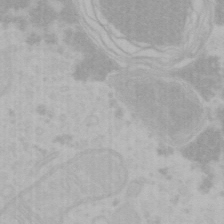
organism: Mouse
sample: Choroid plexus